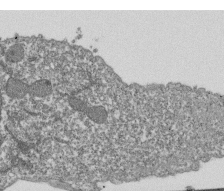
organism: Dictyostelium discoideum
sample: Dictyostelium multivesicular bodies